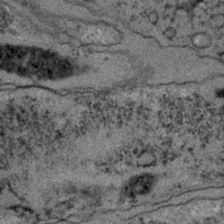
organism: C. elegans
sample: C. elegans embryo